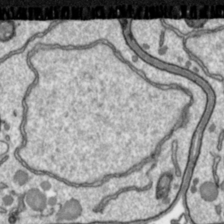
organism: Toxoplasma gondii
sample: Parasites in a vacuole inside a host cell